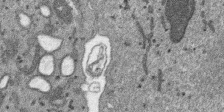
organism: Human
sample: Lung epithelial cells infected with SARS-CoV-2